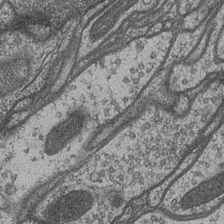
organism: Drosophila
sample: Optic medulla